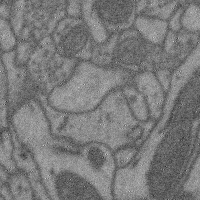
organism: Mouse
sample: Cerebral cortex